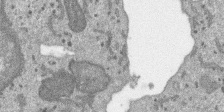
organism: Human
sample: Lung epithelial cells infected with SARS-CoV-2